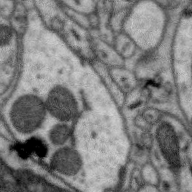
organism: Zebra finch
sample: Brain